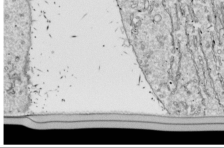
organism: Drosophila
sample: Cell division; meiosis; drosophila spermatocytes